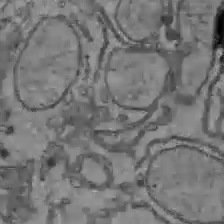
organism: C57BL Mouse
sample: Liver